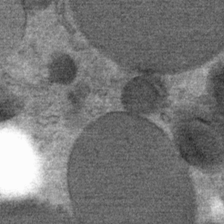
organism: Mouse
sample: Mouse Salivary gland